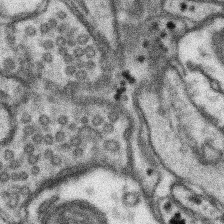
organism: Mouse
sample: Somatosensory cortex neuropil